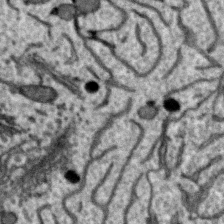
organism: Zebra finch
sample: Brain